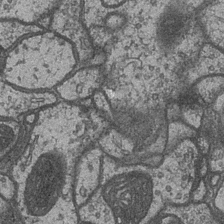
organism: Drosophila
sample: Optic medulla